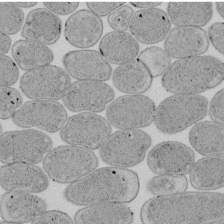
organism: E. coli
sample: Bacterial nucleoid